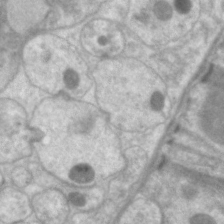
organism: C. elegans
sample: Pharynx